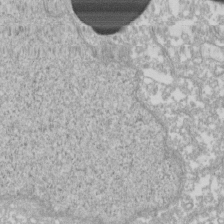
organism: Xenopus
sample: Cilia; centrioles in frog embryo cells